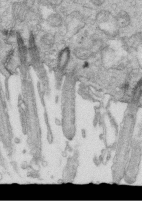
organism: Mouse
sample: Multiciliated cells